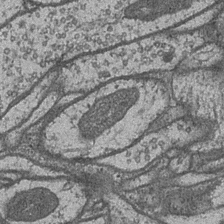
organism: Drosophila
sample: Optic medulla